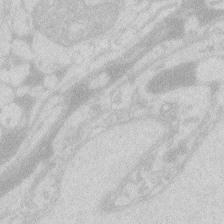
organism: Zebrafish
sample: Macrophage